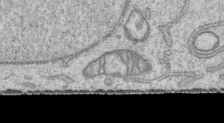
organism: Human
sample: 1205lu cells